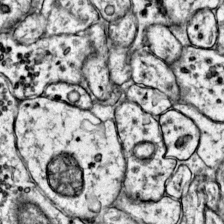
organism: Mouse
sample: Primary visual cortex